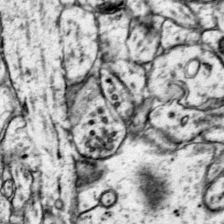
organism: Mouse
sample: Primary visual cortex